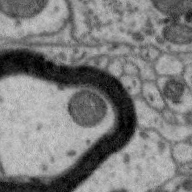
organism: Zebra finch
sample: Brain